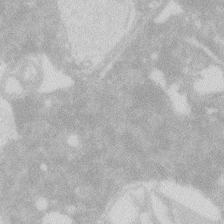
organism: Zebrafish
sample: Macrophage